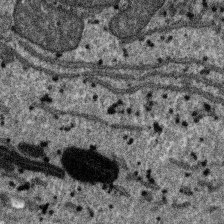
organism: Human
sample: Lung epithelial cells infected with SARS-CoV-2